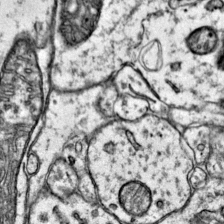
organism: Mouse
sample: Primary visual cortex